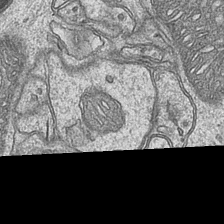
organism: Mouse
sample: CA1 Hippocampus